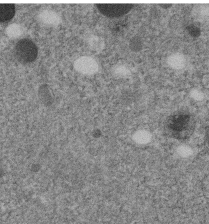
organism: C. elegans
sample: C. elegans embryo early stage